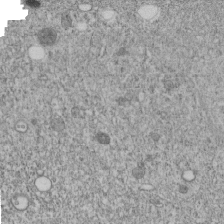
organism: C. elegans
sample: C. elegans embryo early stage